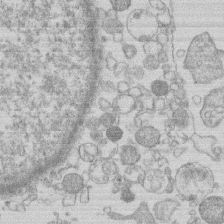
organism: Human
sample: Macrophage cells